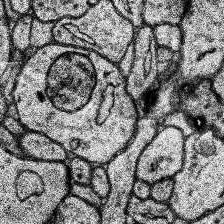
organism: Human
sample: Temporal Lobe